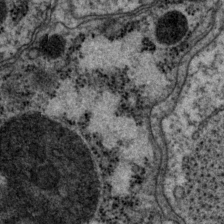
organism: P. pacificus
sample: Pharynx